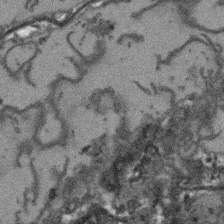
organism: Arabidopsis thaliana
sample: Root tip